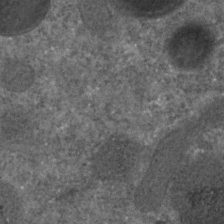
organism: C. elegans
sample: C. elegans embryo